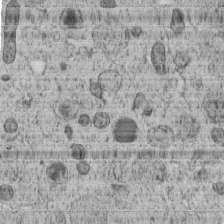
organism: C. elegans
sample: C. elegans embryo early stage